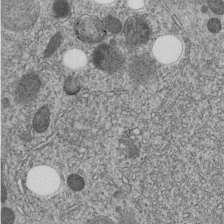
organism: C. elegans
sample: C. elegans embryo early stage